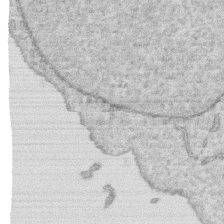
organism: Human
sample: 1205lu cells